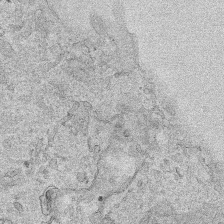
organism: Human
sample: Mitochondria in HCT116 cells